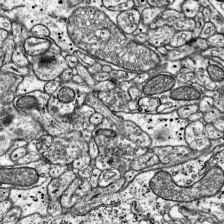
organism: Mouse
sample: Visual Cortex